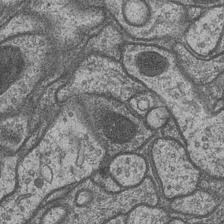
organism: Drosophila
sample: Optic medulla